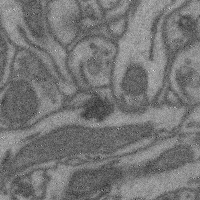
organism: Mouse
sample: Cerebral cortex